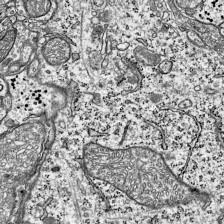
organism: Mouse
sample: Visual Cortex